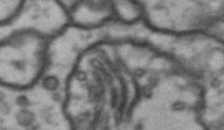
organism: Drosophila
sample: Brain